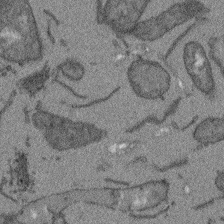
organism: Arabidopsis thaliana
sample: Root tip